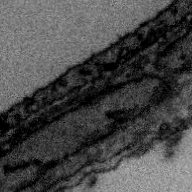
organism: Zebra finch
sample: Brain